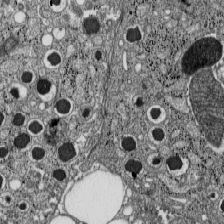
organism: C57BL Mouse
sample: Pancreatic islet